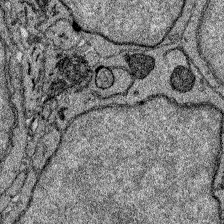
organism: Zebrafish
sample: Larval olfactory bulb